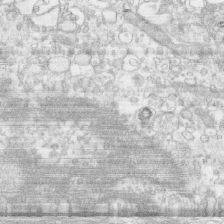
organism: Human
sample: CRL-1474